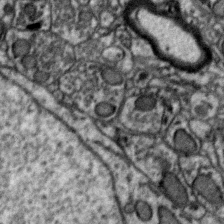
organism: Zebra finch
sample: Brain